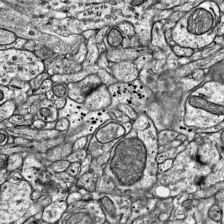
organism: Mouse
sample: Visual Cortex